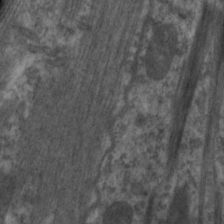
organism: C. elegans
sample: Pharynx